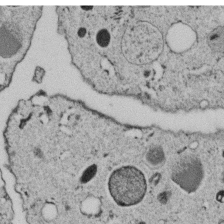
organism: C. elegans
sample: C. elegans embryo early stage